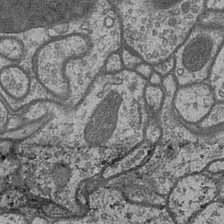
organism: Drosophila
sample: Optic medulla